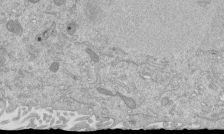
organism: Mouse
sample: ED-1 cell nuclei; centrioles